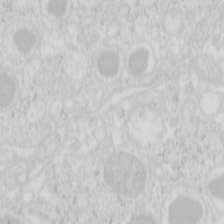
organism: Mouse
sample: Pancreas